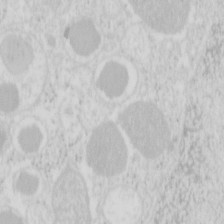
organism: Mouse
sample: Pancreas